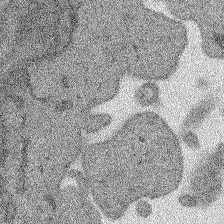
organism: Human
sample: HeLa cells